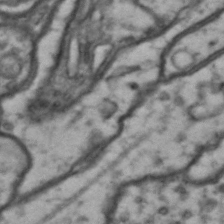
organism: Drosophila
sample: Brain